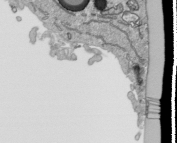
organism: Human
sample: Mitochondria in HCT116 cells